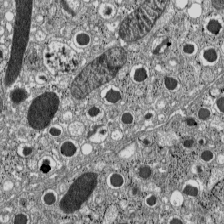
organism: C57BL Mouse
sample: Pancreatic islet